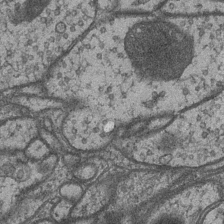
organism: Drosophila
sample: Optic medulla